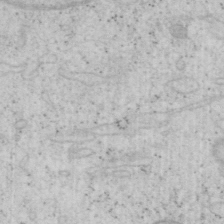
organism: Human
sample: HeLa cells